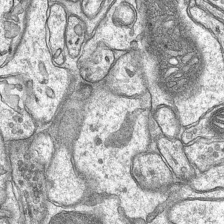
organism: Mouse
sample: CA1 Hippocampus